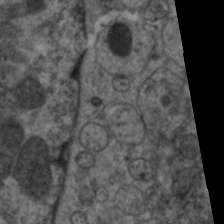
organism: C. elegans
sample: Pharynx